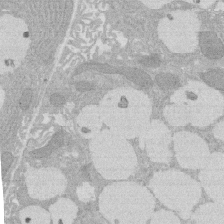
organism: Rat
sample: Salivary granule